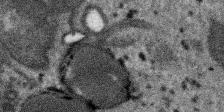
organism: Human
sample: Lung epithelial cells infected with SARS-CoV-2